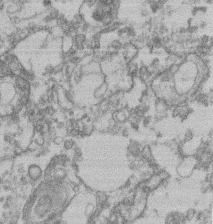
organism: Mouse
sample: T cell stromal cell synapse